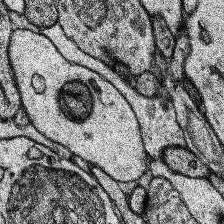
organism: Human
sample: Temporal Lobe